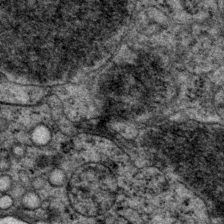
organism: P. pacificus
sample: Pharynx